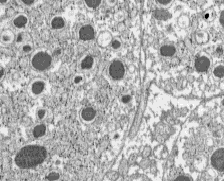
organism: C57BL Mouse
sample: Pancreatic islet